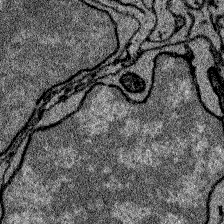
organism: Zebrafish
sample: Larval olfactory bulb